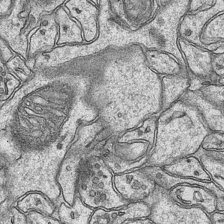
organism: Mouse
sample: CA1 Hippocampus